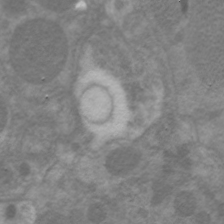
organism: C. elegans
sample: Pharynx